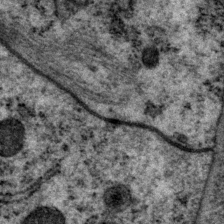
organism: P. pacificus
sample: Pharynx